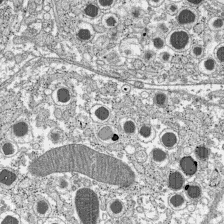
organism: C57BL Mouse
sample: Pancreatic islet